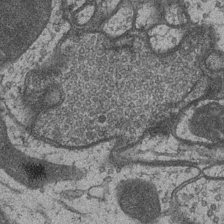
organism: Drosophila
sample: Optic medulla